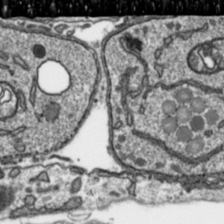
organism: Toxoplasma gondii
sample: Parasites in a vacuole inside a host cell